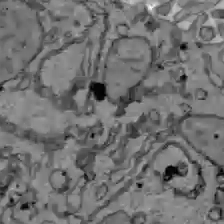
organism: C57BL Mouse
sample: Liver